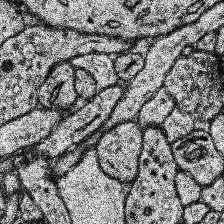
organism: Human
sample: Temporal Lobe